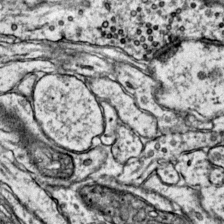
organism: Mouse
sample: Primary visual cortex